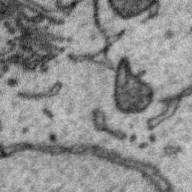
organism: Zebra finch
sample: Brain